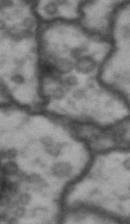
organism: Drosophila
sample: Brain